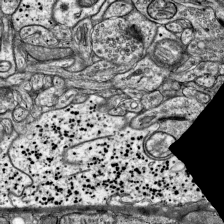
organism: Mouse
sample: Visual Cortex